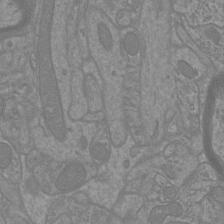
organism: Mouse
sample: Cortical neurons